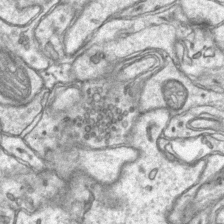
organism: Mouse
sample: CA1 Hippocampus